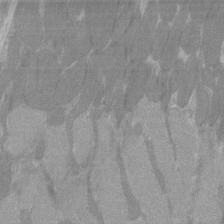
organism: C57BL Mouse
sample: Tibialis anterior muscle cell